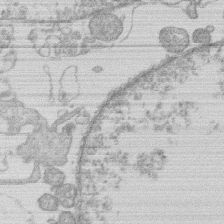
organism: Human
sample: Macrophage cells